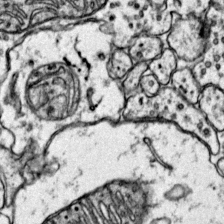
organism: Mouse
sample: Primary visual cortex